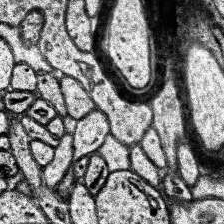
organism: Human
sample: Temporal Lobe